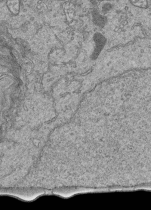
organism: Human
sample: Retinal organoid Rod and Cone cells